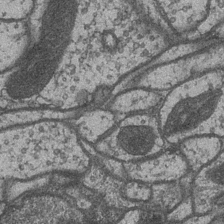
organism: Drosophila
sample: Optic medulla